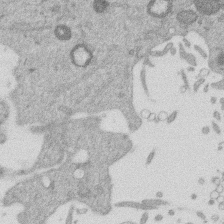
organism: Mouse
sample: Dividing mouse embryo 1 cell stage